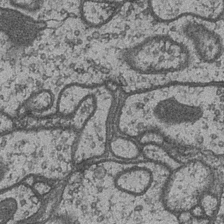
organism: Drosophila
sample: Optic medulla